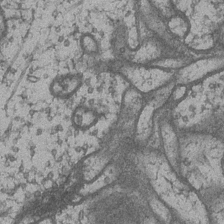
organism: Drosophila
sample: Optic medulla